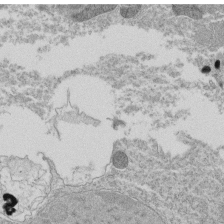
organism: Tetrahymena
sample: Cilia in tetrahymena